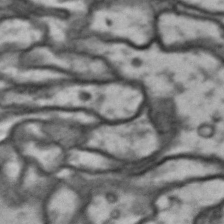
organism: Drosophila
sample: Brain